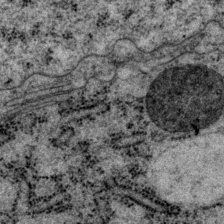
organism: P. pacificus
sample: Pharynx